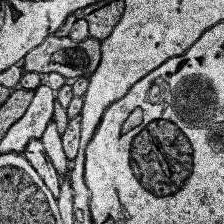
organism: Human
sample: Temporal Lobe